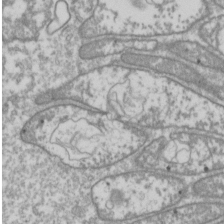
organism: Drosophila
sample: Cell division; meiosis; drosophila spermatocytes